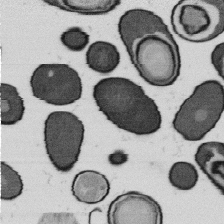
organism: B. subtilis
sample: Bacterial spore